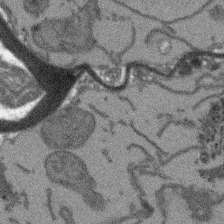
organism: Arabidopsis thaliana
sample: Root tip